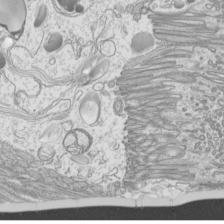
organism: Mouse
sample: Cilia; mouse epididymis